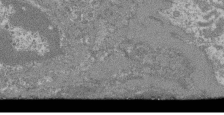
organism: Mouse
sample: Glomerulus